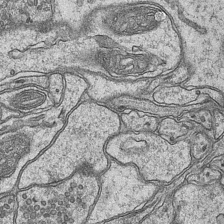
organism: Mouse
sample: CA1 Hippocampus